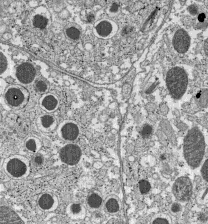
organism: C57BL Mouse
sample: Pancreatic islet